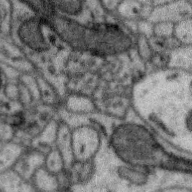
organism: Zebra finch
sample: Brain